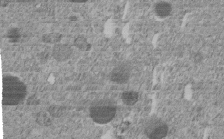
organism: C. elegans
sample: C. elegans embryo early stage